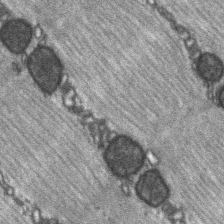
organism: C57BL Mouse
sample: Soleus